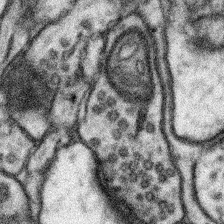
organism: Mouse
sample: Somatosensory cortex neuropil